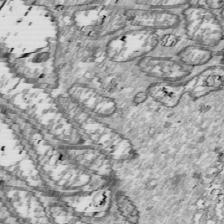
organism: Drosophila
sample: Cell division; meiosis; drosophila spermatocytes